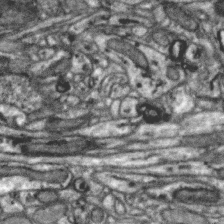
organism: Zebra finch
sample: Brain